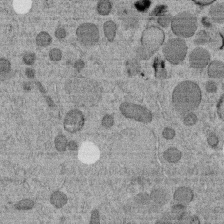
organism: C. elegans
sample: C. elegans embryo early stage